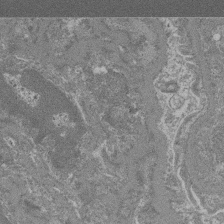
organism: Mouse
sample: Glomerulus